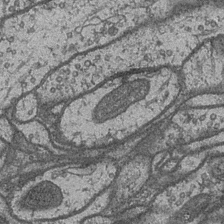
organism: Drosophila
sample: Optic medulla